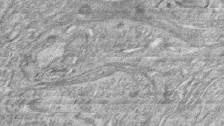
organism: Zebrafish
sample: synaptic ribbons in rod cells and cone cells